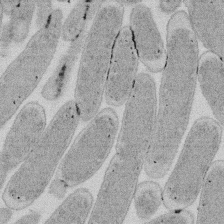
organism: E. coli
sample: Bacterial nucleoid